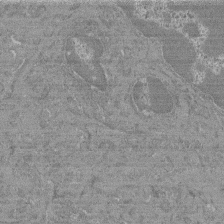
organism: Mouse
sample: Glomerulus